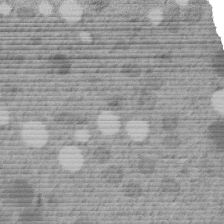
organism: C. elegans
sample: C. elegans embryo early stage